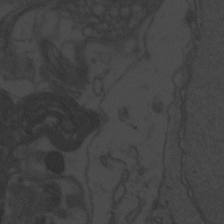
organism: Zebrafish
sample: Macrophage infected with Toxoplasma gondii